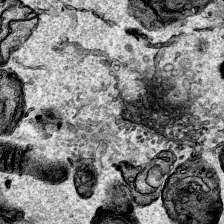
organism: Human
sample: Mitochondria in HCT116 cells